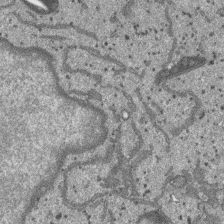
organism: Human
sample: Lung epithelial cells infected with SARS-CoV-2